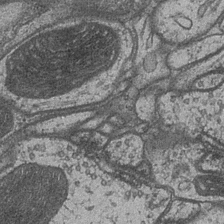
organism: Drosophila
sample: Optic medulla